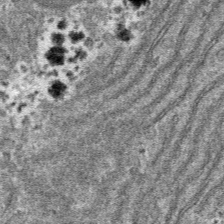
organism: Mouse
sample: Mouse hepatocytes